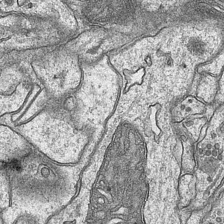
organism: Mouse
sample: CA1 Hippocampus